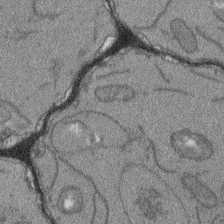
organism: Arabidopsis thaliana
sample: Root tip